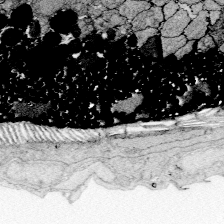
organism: Zebrafish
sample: Whole-Brain